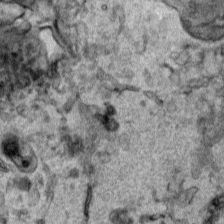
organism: Human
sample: Mitochondria in HCT116 cells